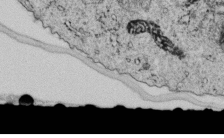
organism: C. elegans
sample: C. elegans embryo early stage